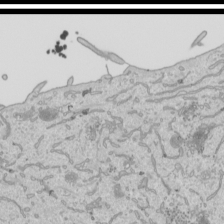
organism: Human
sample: Mitochondria in HCT116 cells